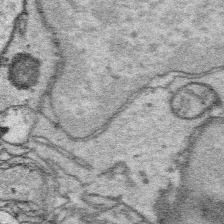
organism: Platynereis dumerilii